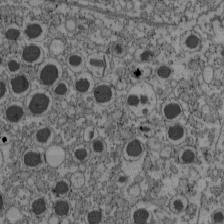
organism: C57BL Mouse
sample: Pancreatic islet